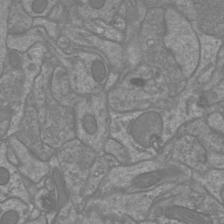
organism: Mouse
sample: Cortical neurons